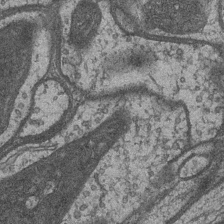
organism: Drosophila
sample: Optic medulla